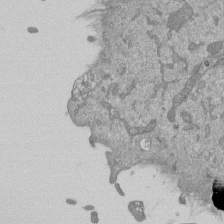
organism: Mouse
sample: ED-1 cell nuclei; centrioles